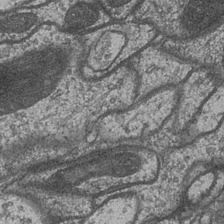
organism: Drosophila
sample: Optic medulla